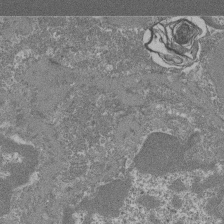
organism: Mouse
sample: Glomerulus